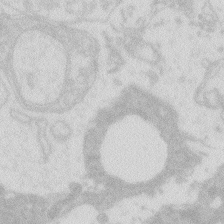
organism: Zebrafish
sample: Macrophage